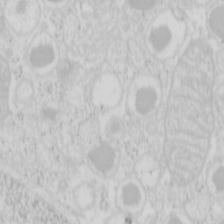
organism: Mouse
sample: Pancreas